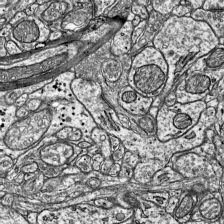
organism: Mouse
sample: Visual Cortex